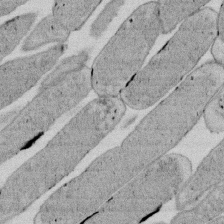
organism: E. coli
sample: Bacterial nucleoid